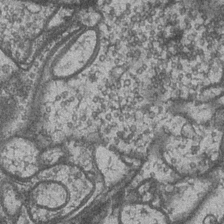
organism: Drosophila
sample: Optic medulla